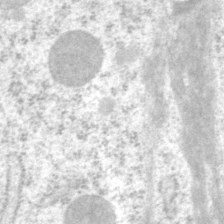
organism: P. pacificus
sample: Pharynx